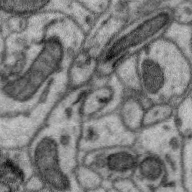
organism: Zebra finch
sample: Brain